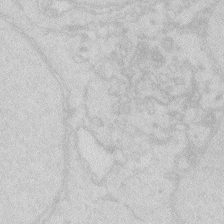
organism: Zebrafish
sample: Macrophage